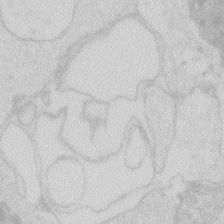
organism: Zebrafish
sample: Macrophage